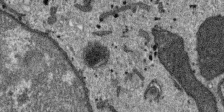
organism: Human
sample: Lung epithelial cells, uninfected (mock) control